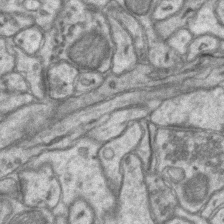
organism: Mouse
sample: CA1 Hippocampus